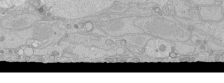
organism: Human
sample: Caco-2 cells